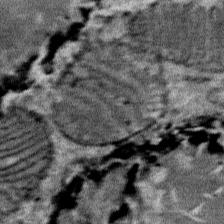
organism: Mouse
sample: Mouse Salivary gland